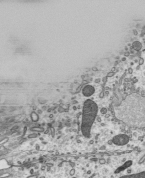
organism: Mouse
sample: Mouse epididymis efferent ductule cilia